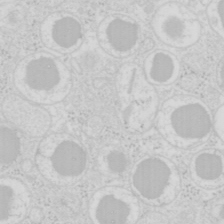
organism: Mouse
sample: Pancreas